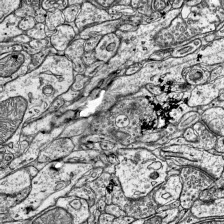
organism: Mouse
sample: Visual Cortex